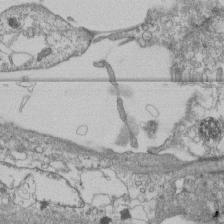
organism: Human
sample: Fibroblast cells